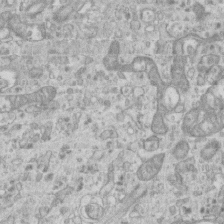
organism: Mouse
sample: Centriole in ependymal cells